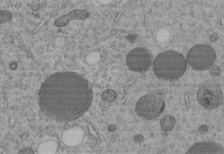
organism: C. elegans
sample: C. elegans embryo early stage